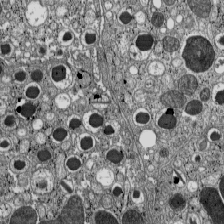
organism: C57BL Mouse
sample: Pancreatic islet